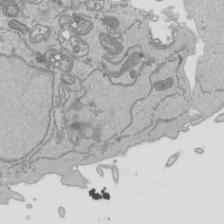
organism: Human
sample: Mitochondria in HCT116 cells